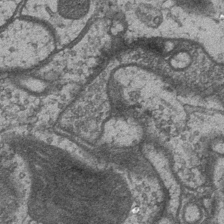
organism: Drosophila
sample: Optic medulla